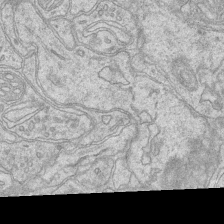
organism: Mouse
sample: CA1 Hippocampus